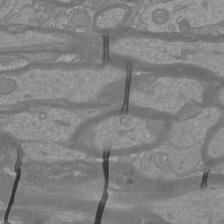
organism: Mouse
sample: Cortical neurons